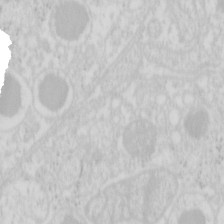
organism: Mouse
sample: Pancreas